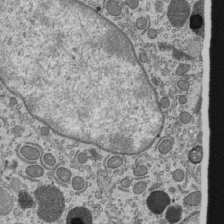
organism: Mouse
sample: Mouse epididymis efferent ductule cilia